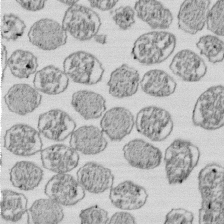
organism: E. coli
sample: Bacterial nucleoid